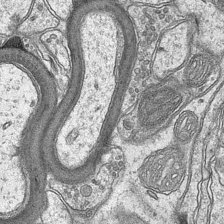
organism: Mouse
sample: CA1 Hippocampus